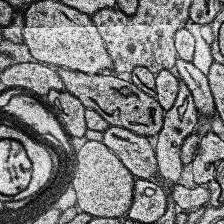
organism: Human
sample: Temporal Lobe